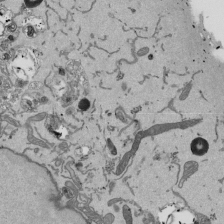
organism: Mouse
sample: ED-1 cell nuclei; centrioles